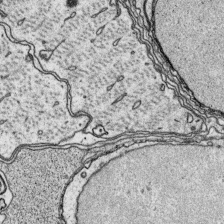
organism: Platynereis dumerilii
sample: Parapodia